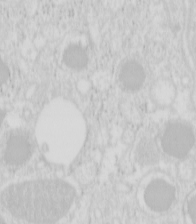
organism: Mouse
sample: Pancreas